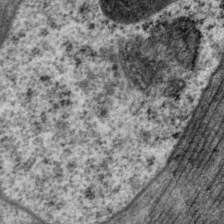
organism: P. pacificus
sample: Pharynx